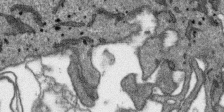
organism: Human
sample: Lung epithelial cells, uninfected (mock) control